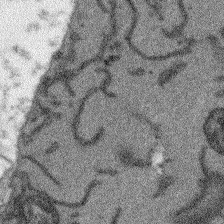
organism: Arabidopsis thaliana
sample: Root tip